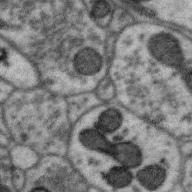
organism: Zebra finch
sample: Brain